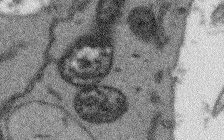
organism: Arabidopsis thaliana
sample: Root tip